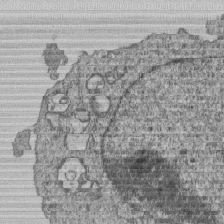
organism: Human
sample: MDA-MB-231 cells